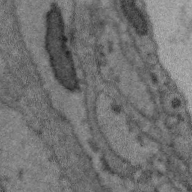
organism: Zebra finch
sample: Brain